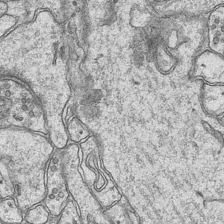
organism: Mouse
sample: CA1 Hippocampus